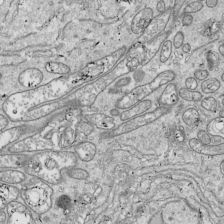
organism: Drosophila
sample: Cell division; meiosis; drosophila spermatocytes